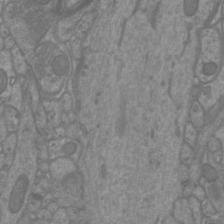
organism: Mouse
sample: Cortical neurons